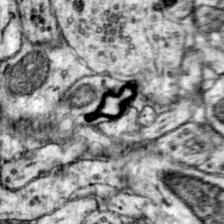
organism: Mouse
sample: Primary visual cortex